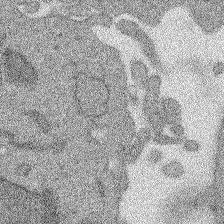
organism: Human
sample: HeLa cells